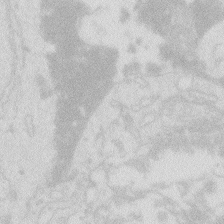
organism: Zebrafish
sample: Macrophage